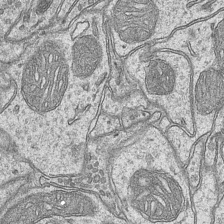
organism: Mouse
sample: CA1 Hippocampus